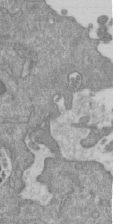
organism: Mouse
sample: ED-1 cell nuclei; centrioles